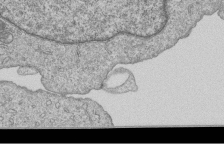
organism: Human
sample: MDA-MB-231 cells